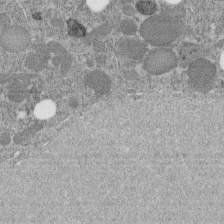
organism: C. elegans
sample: C. elegans embryo early stage